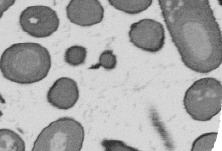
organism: B. subtilis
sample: Bacterial spore